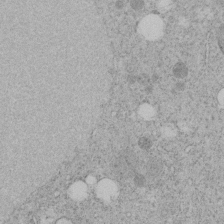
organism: C. elegans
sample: C. elegans embryo early stage